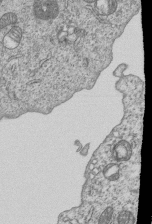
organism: Human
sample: MDA-MB-231 cells